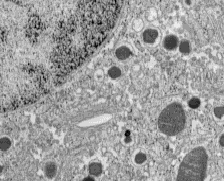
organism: C57BL Mouse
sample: Pancreatic islet